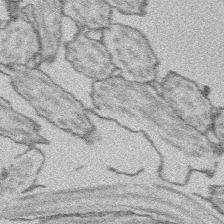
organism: Platynereis dumerilii